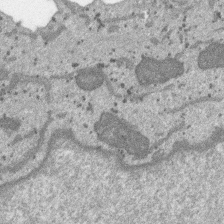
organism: Human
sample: Lung epithelial cells infected with SARS-CoV-2